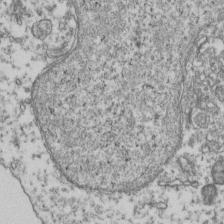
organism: Human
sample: Activated Jurkat CD4+ T cells